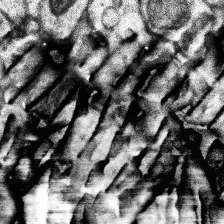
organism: Human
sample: Temporal Lobe